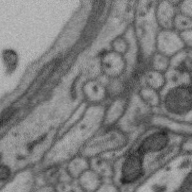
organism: Zebra finch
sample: Brain